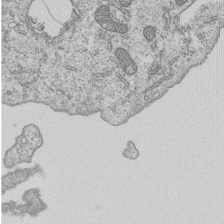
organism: Human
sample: MDA-MB-231 cells